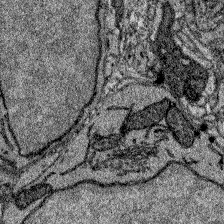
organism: Zebrafish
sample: Larval olfactory bulb